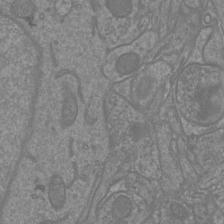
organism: Mouse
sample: Cortical neurons